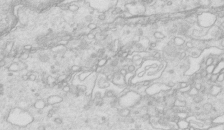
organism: Mouse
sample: Multiciliated cells